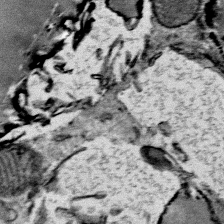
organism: Mouse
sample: Mouse Salivary gland